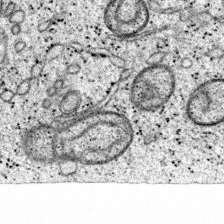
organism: Human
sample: HeLa cells